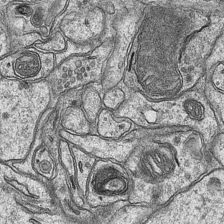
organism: Mouse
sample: CA1 Hippocampus